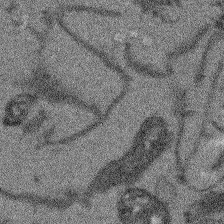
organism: Arabidopsis thaliana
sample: Root tip